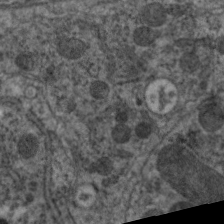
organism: C. elegans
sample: Pharynx